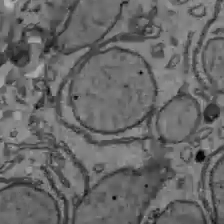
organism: C57BL Mouse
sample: Liver